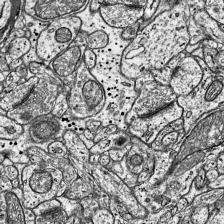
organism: Mouse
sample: Visual Cortex